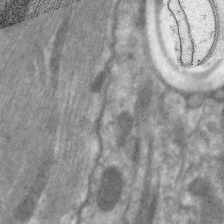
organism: C. elegans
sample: Pharynx